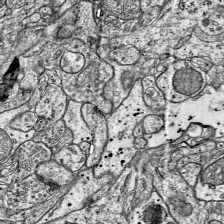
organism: Mouse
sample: Visual Cortex